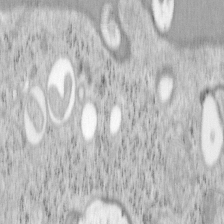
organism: Human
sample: HeLa cells